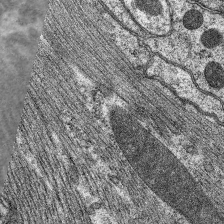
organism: C. elegans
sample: Pharynx